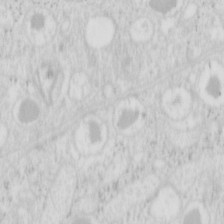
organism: Mouse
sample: Pancreas